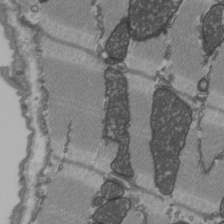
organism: C57BL Mouse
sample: Heart